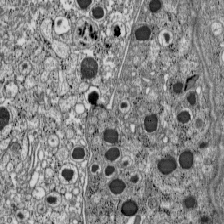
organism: C57BL Mouse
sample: Pancreatic islet